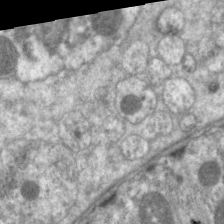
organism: C. elegans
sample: Pharynx